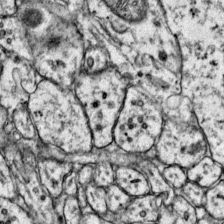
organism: Mouse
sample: Primary visual cortex